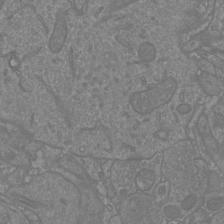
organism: Mouse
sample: Cortical neurons